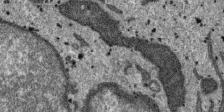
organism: Human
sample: Lung epithelial cells, uninfected (mock) control